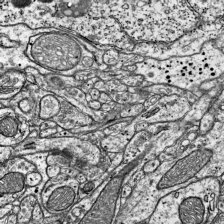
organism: Mouse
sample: Visual Cortex